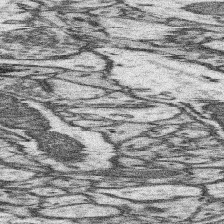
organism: Mouse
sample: Somatosensory cortex neuropil